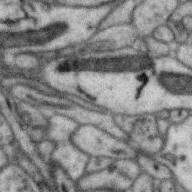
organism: Zebra finch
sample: Brain